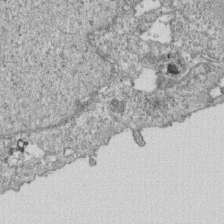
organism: Human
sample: HeLa cell HIV synapse